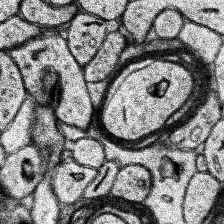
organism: Human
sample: Temporal Lobe